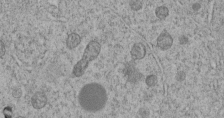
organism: C. elegans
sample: C. elegans embryo early stage